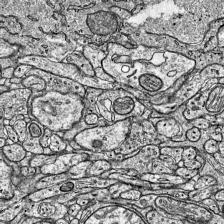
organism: Mouse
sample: Visual Cortex